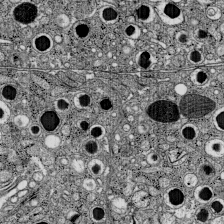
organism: C57BL Mouse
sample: Pancreatic islet